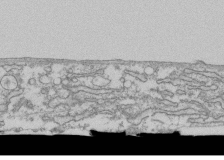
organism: Human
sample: Fibroblast cells